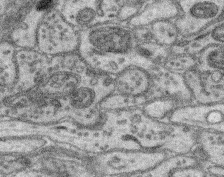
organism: Mouse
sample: Retina